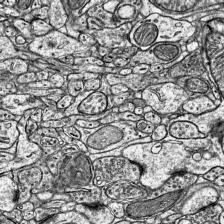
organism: Mouse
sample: Visual Cortex